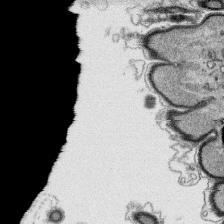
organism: Platynereis dumerilii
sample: Parapodia